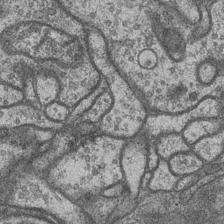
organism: Drosophila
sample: Optic medulla